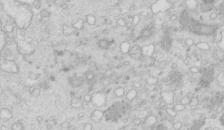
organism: Mouse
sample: Multiciliated cells